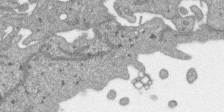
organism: Human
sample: Lung epithelial cells infected with SARS-CoV-2